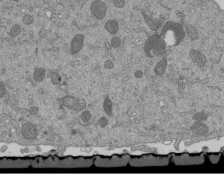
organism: Mouse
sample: ED-1 cell nuclei; centrioles